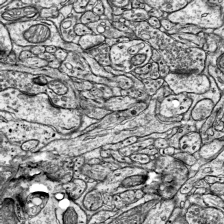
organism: Mouse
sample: Visual Cortex